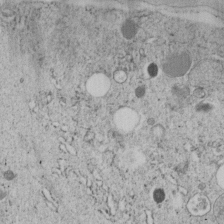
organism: C. elegans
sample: C. elegans embryo early stage